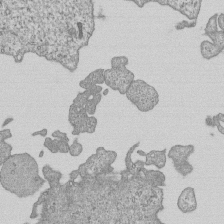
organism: Human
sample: MDA-MB-231 cells